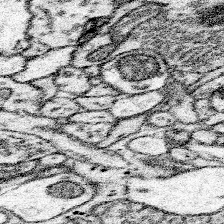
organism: Mouse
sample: Somatosensory cortex neuropil